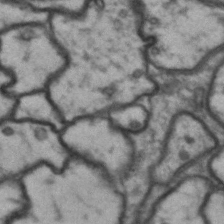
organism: Drosophila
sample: Brain